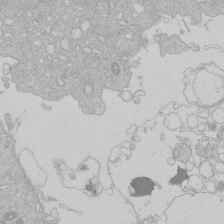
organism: Human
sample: Macrophage cells